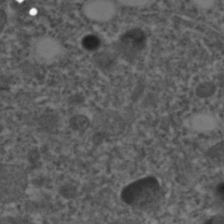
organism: C. elegans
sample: C. elegans embryo